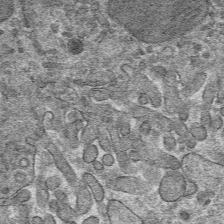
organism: Mouse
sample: Mouse hepatocytes